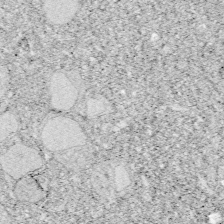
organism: Zebrafish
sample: Whole-Brain